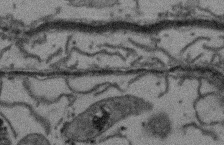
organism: Arabidopsis thaliana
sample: Root tip